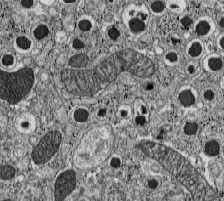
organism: C57BL Mouse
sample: Pancreatic islet